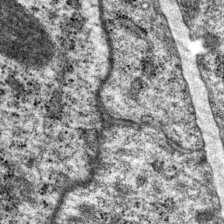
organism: P. pacificus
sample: Pharynx